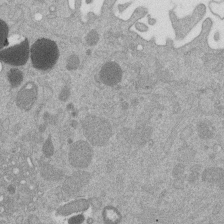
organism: Mouse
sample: Dividing mouse embryo 1 cell stage